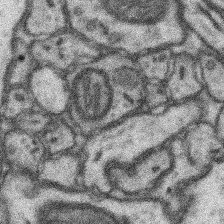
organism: Mouse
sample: Somatosensory cortex neuropil